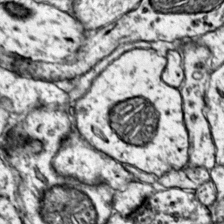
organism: Mouse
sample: Primary visual cortex